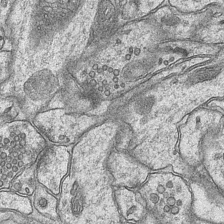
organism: Mouse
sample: CA1 Hippocampus